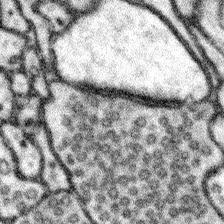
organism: Mouse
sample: Somatosensory cortex neuropil